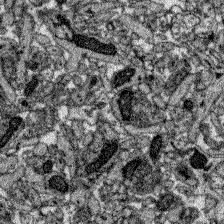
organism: Zebrafish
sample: Larval olfactory bulb